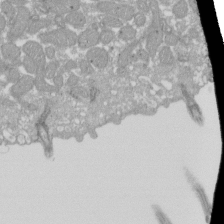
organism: Xenopus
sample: Cilia; centrioles in frog embryo cells